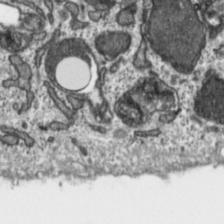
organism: Toxoplasma gondii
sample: Parasites in a vacuole inside a host cell